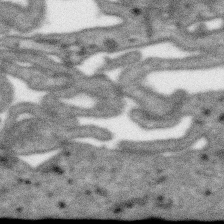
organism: Human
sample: Lung epithelial cells infected with SARS-CoV-2